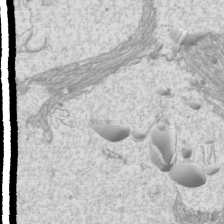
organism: Mouse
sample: Cilia; mouse epididymis